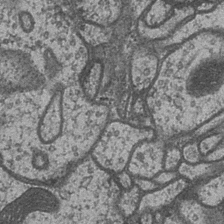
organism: Drosophila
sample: Optic medulla